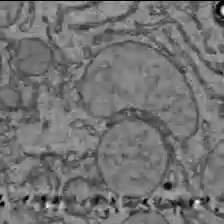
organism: C57BL Mouse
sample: Liver